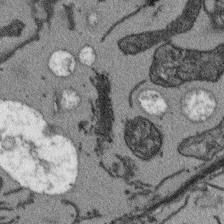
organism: Arabidopsis thaliana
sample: Root tip